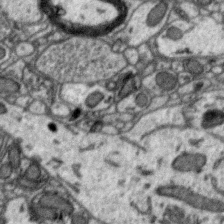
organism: Zebra finch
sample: Brain